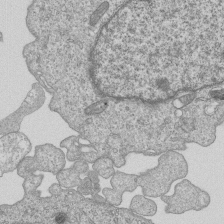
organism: Human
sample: MDA-MB-231 cells